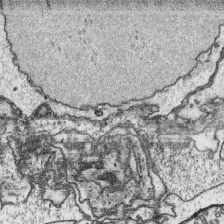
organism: Platynereis dumerilii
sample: Parapodia